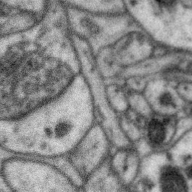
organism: Zebra finch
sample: Brain